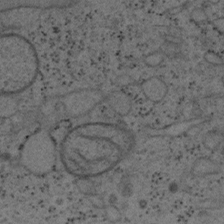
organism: Human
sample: HeLa cells